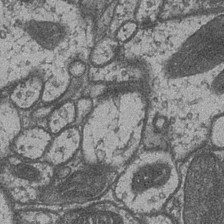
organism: Drosophila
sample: Optic medulla